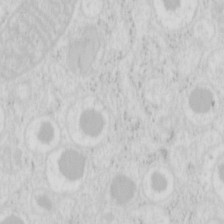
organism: Mouse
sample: Pancreas